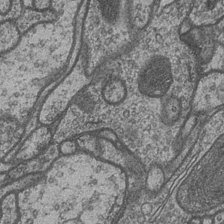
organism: Drosophila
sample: Optic medulla